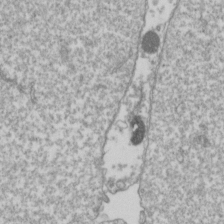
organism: Drosophila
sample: Cell division; meiosis; drosophila spermatocytes